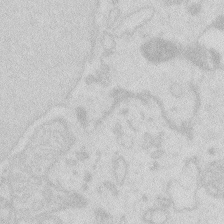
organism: Zebrafish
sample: Macrophage